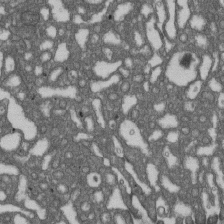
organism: Drosophila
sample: Nephrocyte